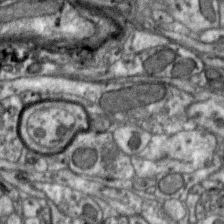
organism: Zebra finch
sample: Brain